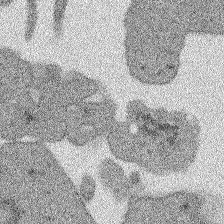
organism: Human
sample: HeLa cells